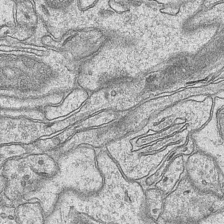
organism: Mouse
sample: CA1 Hippocampus